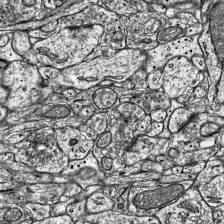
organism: Mouse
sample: Visual Cortex